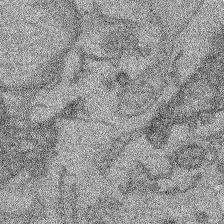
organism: Human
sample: HeLa cells